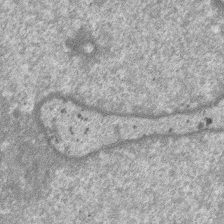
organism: Human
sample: Lung epithelial cells infected with SARS-CoV-2